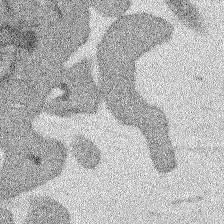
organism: Human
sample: HeLa cells